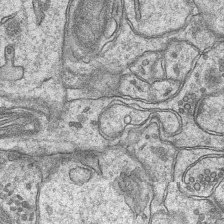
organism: Mouse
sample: CA1 Hippocampus